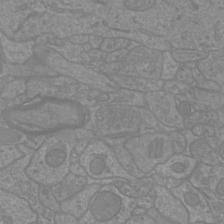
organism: Mouse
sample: Cortical neurons